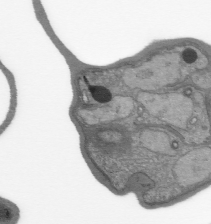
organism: Plasmodium falciparum